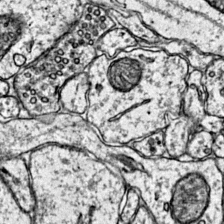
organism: Mouse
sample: Primary visual cortex